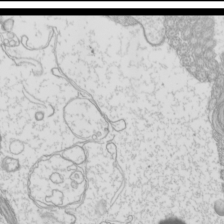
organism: Mouse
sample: Cilia; mouse epididymis